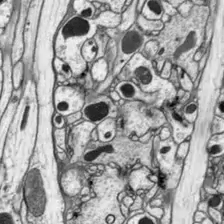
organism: Drosophila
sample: Optic lobe